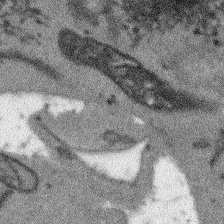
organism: Arabidopsis thaliana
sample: Root tip